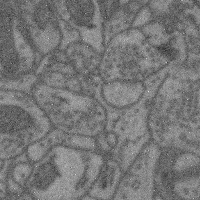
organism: Mouse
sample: Cerebral cortex